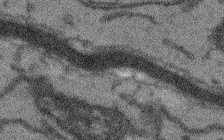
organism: Arabidopsis thaliana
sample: Root tip